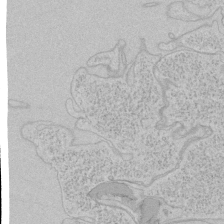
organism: Human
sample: Mitochondria in HCT116 cells